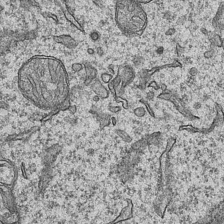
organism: Mouse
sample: CA1 Hippocampus